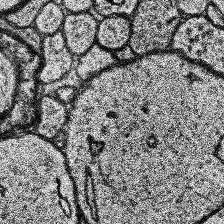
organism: Human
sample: Temporal Lobe